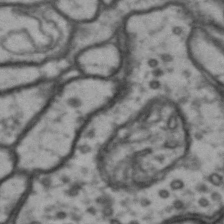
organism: Drosophila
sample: Brain